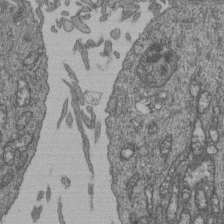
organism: Human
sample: Retinal organoid Rod and Cone cells